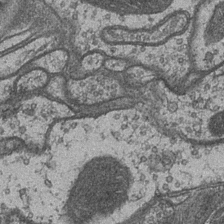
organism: Drosophila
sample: Optic medulla